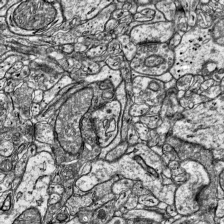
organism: Mouse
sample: Visual Cortex